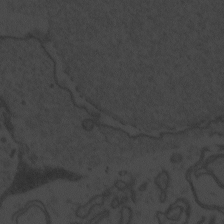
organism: Zebrafish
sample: Macrophage infected with Toxoplasma gondii